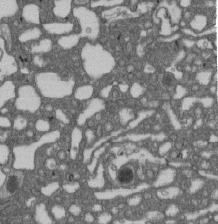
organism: Drosophila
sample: Nephrocyte